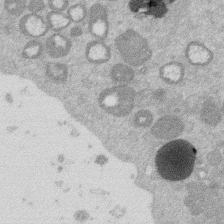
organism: Mouse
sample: Dividing mouse embryo 1 cell stage